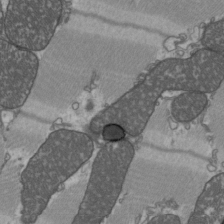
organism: C57BL Mouse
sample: Heart